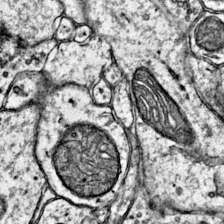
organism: Mouse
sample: Primary visual cortex